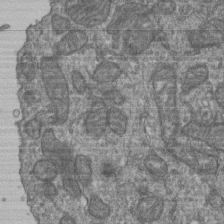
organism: Human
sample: Retinal organoid Rod and Cone cells